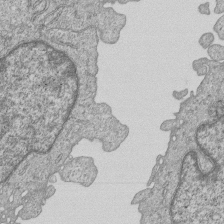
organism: Human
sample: MDA-MB-231 cells